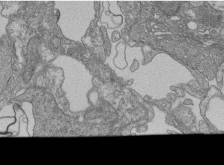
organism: Human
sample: Retinal organoid Rod and Cone cells